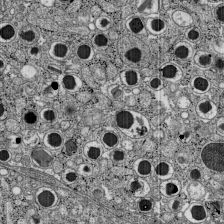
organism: C57BL Mouse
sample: Pancreatic islet